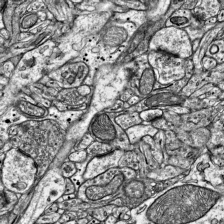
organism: Mouse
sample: Visual Cortex